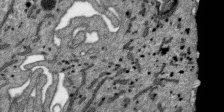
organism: Human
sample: Lung epithelial cells, uninfected (mock) control